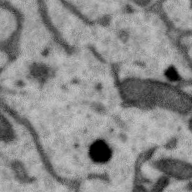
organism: Zebra finch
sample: Brain